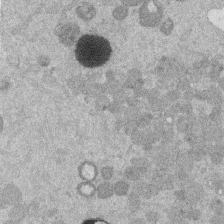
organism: Mouse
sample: Dividing mouse embryo 1 cell stage